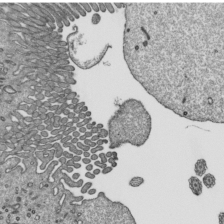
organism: Mouse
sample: Mouse epididymis efferent ductule cilia